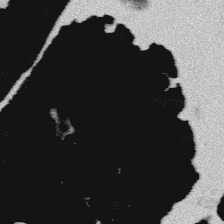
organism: Platynereis dumerilii